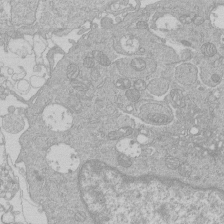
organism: Human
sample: Macrophage cells